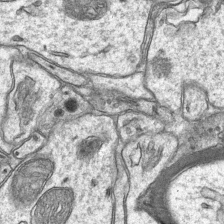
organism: Mouse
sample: CA1 Hippocampus